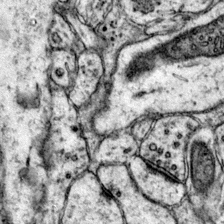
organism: Mouse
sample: Primary visual cortex